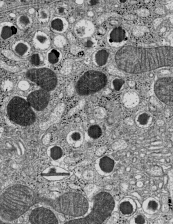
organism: C57BL Mouse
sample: Pancreatic islet